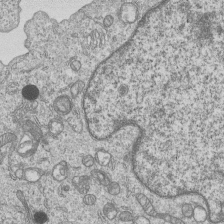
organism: Human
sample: MDA-MB-231 cells